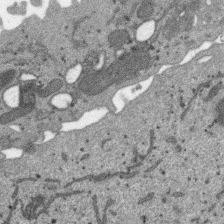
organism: Human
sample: Lung epithelial cells infected with SARS-CoV-2